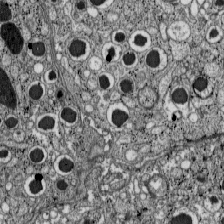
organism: C57BL Mouse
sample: Pancreatic islet